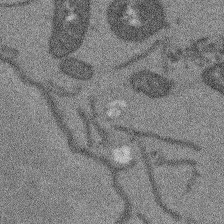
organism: Arabidopsis thaliana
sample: Root tip